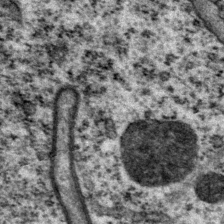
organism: P. pacificus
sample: Pharynx